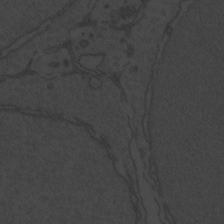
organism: Zebrafish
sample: Macrophage infected with Toxoplasma gondii